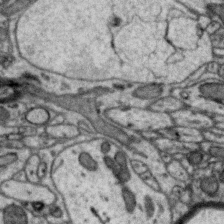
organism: Zebra finch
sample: Brain